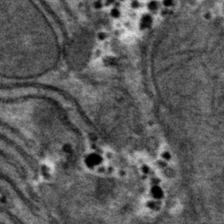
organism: Mouse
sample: Mouse hepatocytes